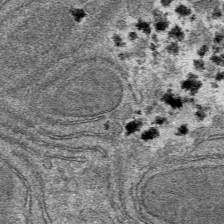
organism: Mouse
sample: Mouse hepatocytes